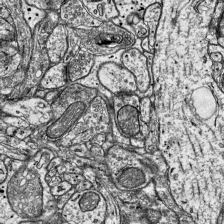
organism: Mouse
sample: Visual Cortex